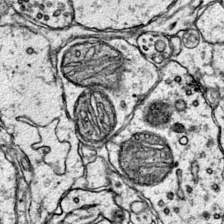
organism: Mouse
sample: Primary visual cortex